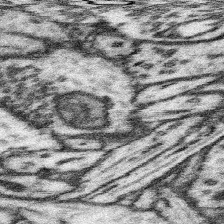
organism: Mouse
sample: Somatosensory cortex neuropil